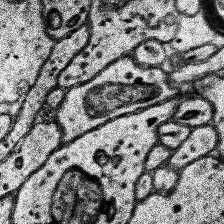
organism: Human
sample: Temporal Lobe